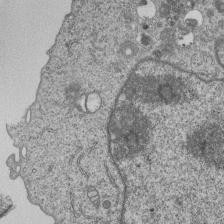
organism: Human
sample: MDA-MB-231 cells